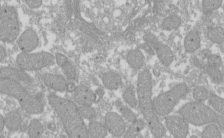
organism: Xenopus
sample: Cilia; centrioles in frog embryo cells